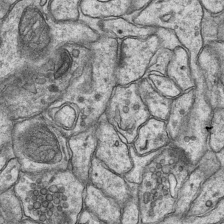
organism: Mouse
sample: CA1 Hippocampus